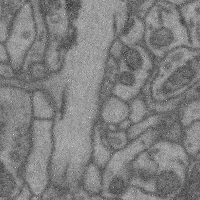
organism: Mouse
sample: Cerebral cortex